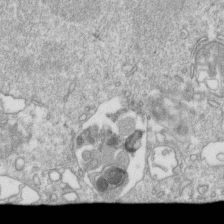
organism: Mouse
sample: Activated OT-1 CD8+ T cells